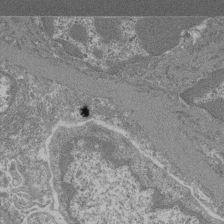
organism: Mouse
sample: Glomerulus